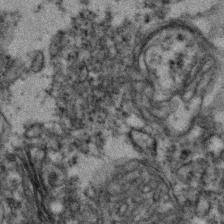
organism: Zebrafish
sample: Zebrafish embryo